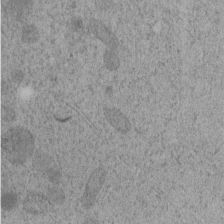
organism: C. elegans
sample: C. elegans embryo early stage